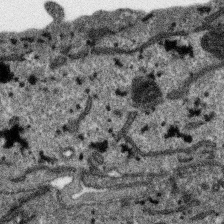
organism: Human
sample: Lung epithelial cells infected with SARS-CoV-2